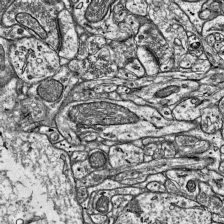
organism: Mouse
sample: Visual Cortex